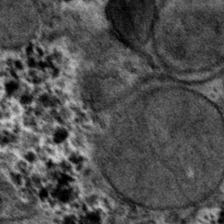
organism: Mouse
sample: Mouse hepatocytes